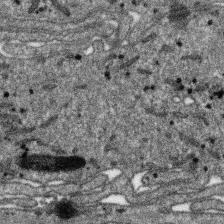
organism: Human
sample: Lung epithelial cells infected with SARS-CoV-2